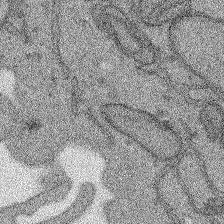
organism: Human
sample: HeLa cells